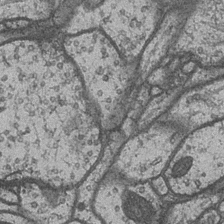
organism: Drosophila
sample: Optic medulla